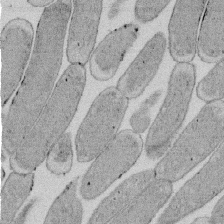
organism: E. coli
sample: Bacterial nucleoid